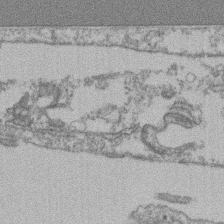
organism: Mouse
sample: T cell stromal cell synapse